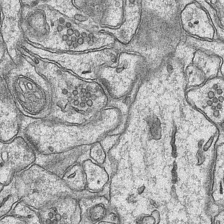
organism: Mouse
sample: CA1 Hippocampus